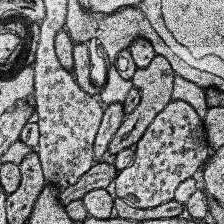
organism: Human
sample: Temporal Lobe